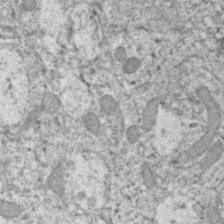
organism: Human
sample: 1205lu cells